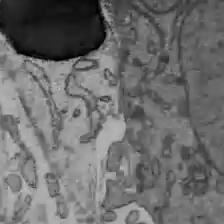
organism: C57BL Mouse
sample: Liver